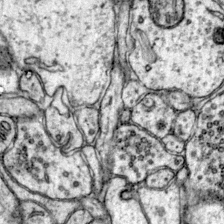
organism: Mouse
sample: Primary visual cortex